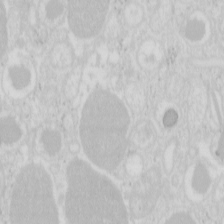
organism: Mouse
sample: Pancreas